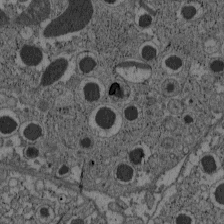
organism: C57BL Mouse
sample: Pancreatic islet